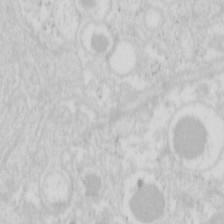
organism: Mouse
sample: Pancreas